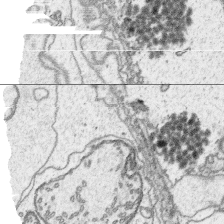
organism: Platynereis dumerilii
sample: Parapodia